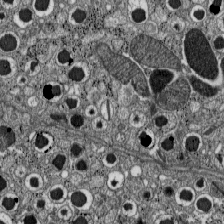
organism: C57BL Mouse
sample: Pancreatic islet